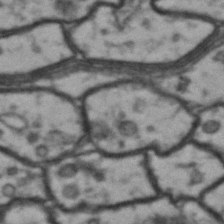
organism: Drosophila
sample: Brain